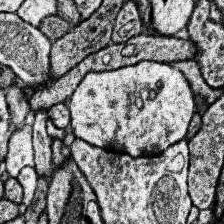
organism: Human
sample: Temporal Lobe